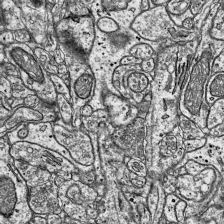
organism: Mouse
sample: Visual Cortex